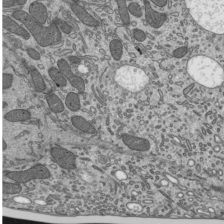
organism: Mouse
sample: Mouse epididymis efferent ductule cilia